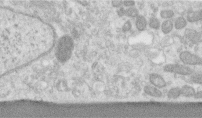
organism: Human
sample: Centriole in RPE cells